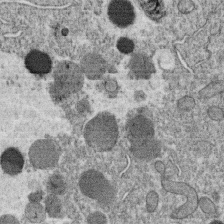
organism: C. elegans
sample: C. elegans oocyte; sperm cells